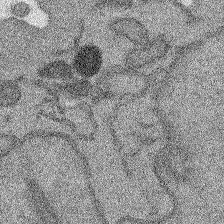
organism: Human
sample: HeLa cells